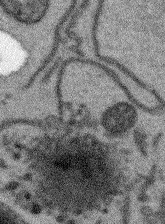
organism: Arabidopsis thaliana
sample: Root tip